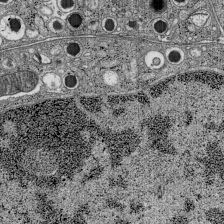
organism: C57BL Mouse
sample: Pancreatic islet